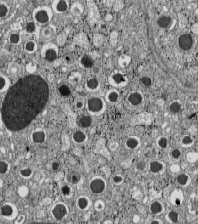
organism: C57BL Mouse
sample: Pancreatic islet